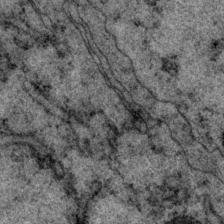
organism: P. pacificus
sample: Pharynx